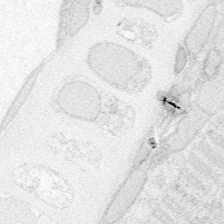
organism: Zebrafish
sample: Whole-Brain